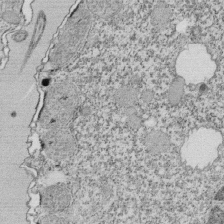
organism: Tetrahymena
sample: Cilia in tetrahymena